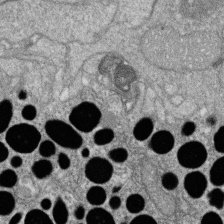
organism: Zebrafish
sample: Cilia; retinal pigment epithelium